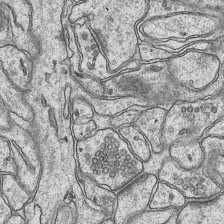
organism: Mouse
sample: CA1 Hippocampus